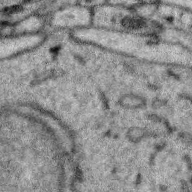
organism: Zebra finch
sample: Brain